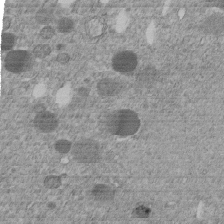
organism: C. elegans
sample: C. elegans embryo early stage